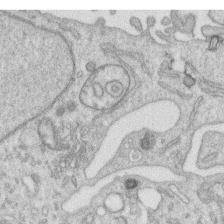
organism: Human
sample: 1205lu cells